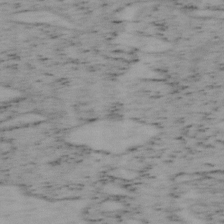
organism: Mouse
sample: OT-I killer T cells with ID8 ovarian cancer cells